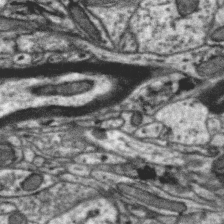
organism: Zebra finch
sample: Brain